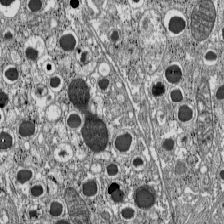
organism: C57BL Mouse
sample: Pancreatic islet